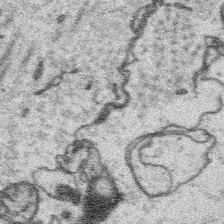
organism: Platynereis dumerilii